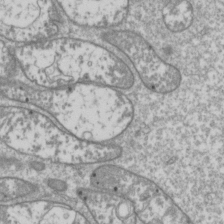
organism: Drosophila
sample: Cell division; meiosis; drosophila spermatocytes